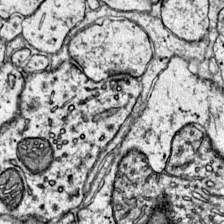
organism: Mouse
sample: Primary visual cortex